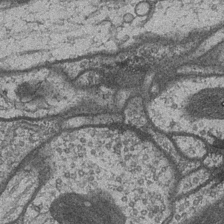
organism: Drosophila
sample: Optic medulla